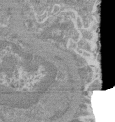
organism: Mouse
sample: Glomerulus